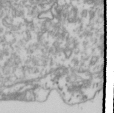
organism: Drosophila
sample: Cell division; meiosis; drosophila spermatocytes